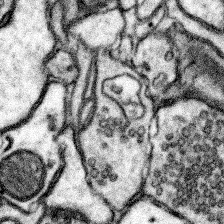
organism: Mouse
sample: Somatosensory cortex neuropil